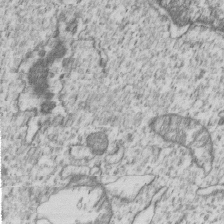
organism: Human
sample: MDA-MB-231 cells